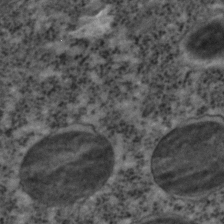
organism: C. elegans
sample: C. elegans embryo